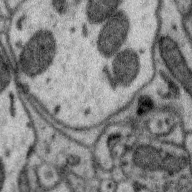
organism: Zebra finch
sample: Brain